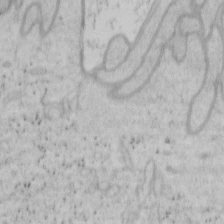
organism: Human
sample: HeLa cells